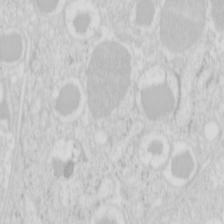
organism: Mouse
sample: Pancreas